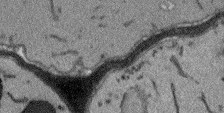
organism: Arabidopsis thaliana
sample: Root tip